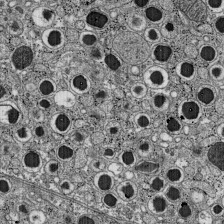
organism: C57BL Mouse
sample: Pancreatic islet